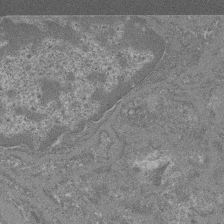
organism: Mouse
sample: Glomerulus